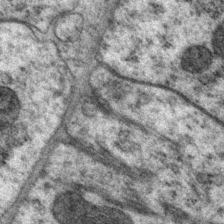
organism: P. pacificus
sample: Pharynx